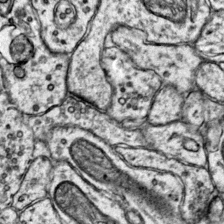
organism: Mouse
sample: Primary visual cortex